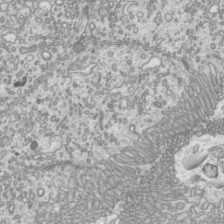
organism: Mouse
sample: Cilia; mouse epididymis